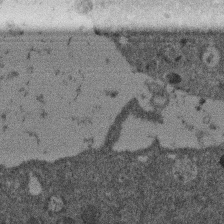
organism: Mouse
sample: Dividing mouse embryo 1 cell stage